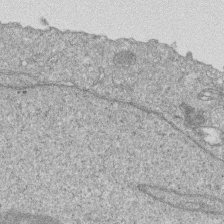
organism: Human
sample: HeLa cell HIV synapse